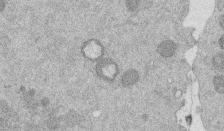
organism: Mouse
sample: Dividing mouse embryo 1 cell stage